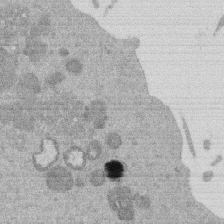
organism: Mouse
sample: Dividing mouse embryo 1 cell stage